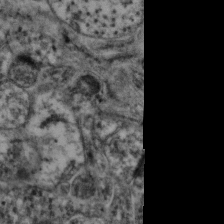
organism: Mouse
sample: Neocortex